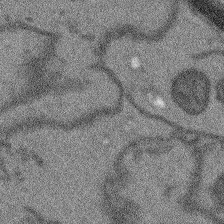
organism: Arabidopsis thaliana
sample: Root tip